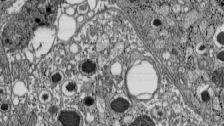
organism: C57BL Mouse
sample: Pancreatic islet